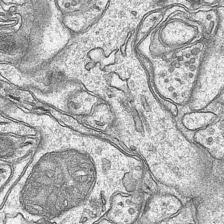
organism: Mouse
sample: CA1 Hippocampus